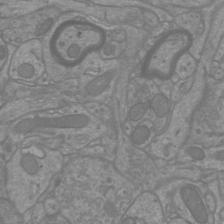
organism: Mouse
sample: Cortical neurons